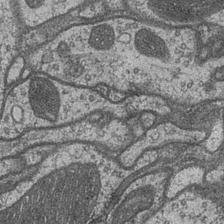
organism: Drosophila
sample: Optic medulla